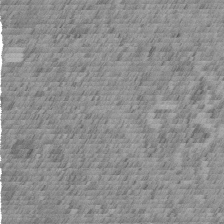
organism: C. elegans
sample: C. elegans embryo early stage